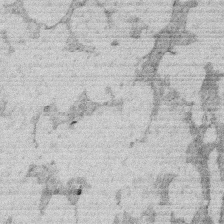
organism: Rat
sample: Salivary granule